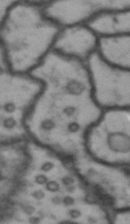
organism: Drosophila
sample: Brain